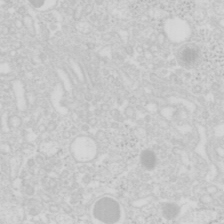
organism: Mouse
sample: Pancreas